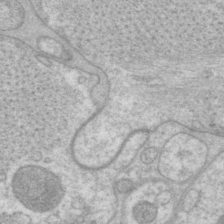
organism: P. pacificus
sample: Pharynx